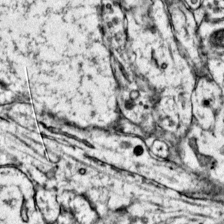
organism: Mouse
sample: Primary visual cortex